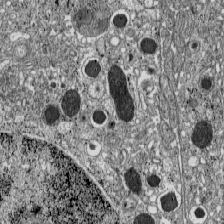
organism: C57BL Mouse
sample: Pancreatic islet